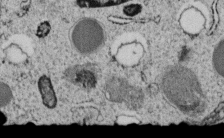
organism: C. elegans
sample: C. elegans embryo early stage